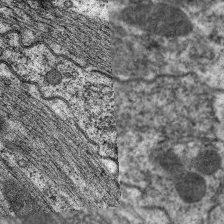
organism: C. elegans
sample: Pharynx